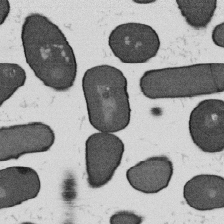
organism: B. subtilis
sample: Bacterial spore